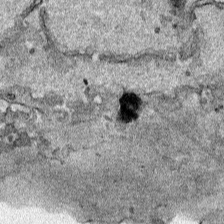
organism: Human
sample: Mitochondria in HCT116 cells